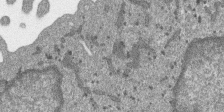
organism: Human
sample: Lung epithelial cells infected with SARS-CoV-2